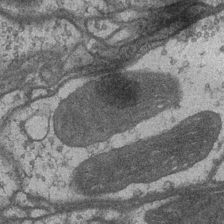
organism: Drosophila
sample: Optic medulla